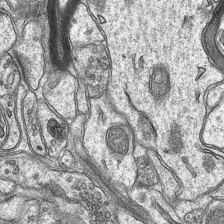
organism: Mouse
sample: CA1 Hippocampus